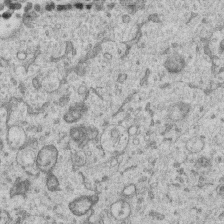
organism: Human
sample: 1205lu cells